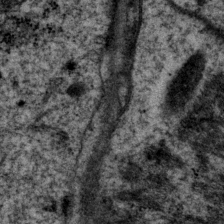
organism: P. pacificus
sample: Pharynx